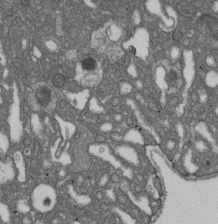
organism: Drosophila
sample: Nephrocyte